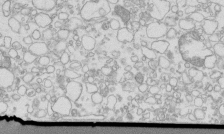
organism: Mouse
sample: Macrophages